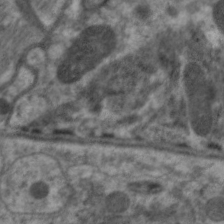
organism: C. elegans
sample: Pharynx